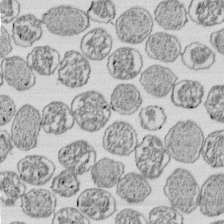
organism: E. coli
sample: Bacterial nucleoid